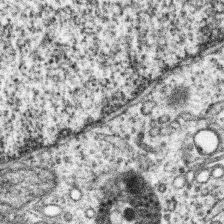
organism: Human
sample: HeLa cells